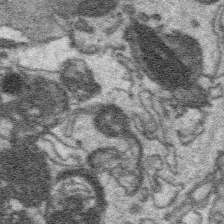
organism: Platynereis dumerilii